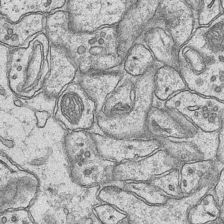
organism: Mouse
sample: CA1 Hippocampus